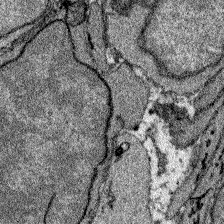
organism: Zebrafish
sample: Larval olfactory bulb